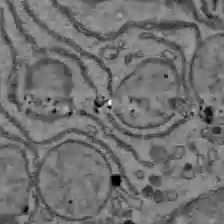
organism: C57BL Mouse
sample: Liver